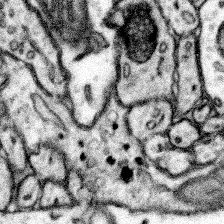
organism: Mouse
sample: Somatosensory cortex neuropil